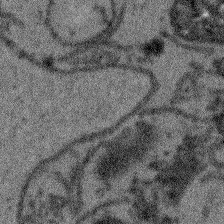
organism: Arabidopsis thaliana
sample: Root tip